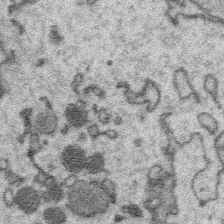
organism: Platynereis dumerilii